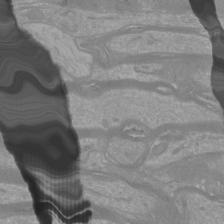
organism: Mouse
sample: Cortical neurons